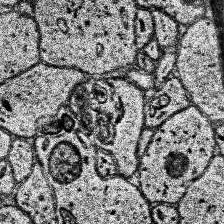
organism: Human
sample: Temporal Lobe